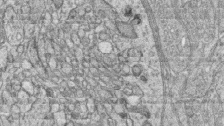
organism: Zebrafish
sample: synaptic ribbons in rod cells and cone cells